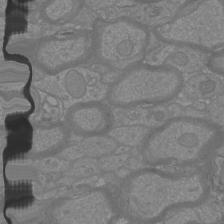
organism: Mouse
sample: Cortical neurons